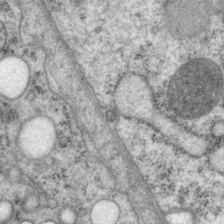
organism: P. pacificus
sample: Pharynx